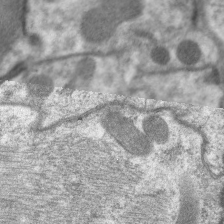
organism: C. elegans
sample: Pharynx